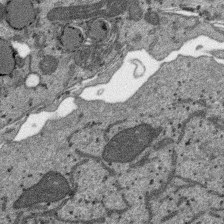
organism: Human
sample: Lung epithelial cells infected with SARS-CoV-2